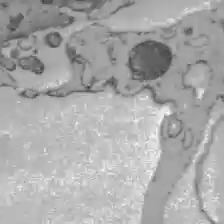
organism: C57BL Mouse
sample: Liver